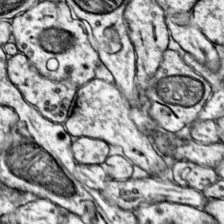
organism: Mouse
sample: Primary visual cortex